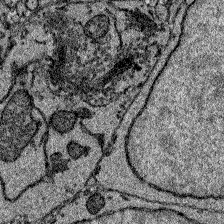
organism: Zebrafish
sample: Larval olfactory bulb